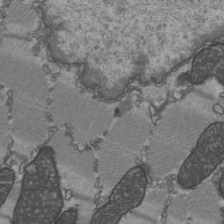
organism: C57BL Mouse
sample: Heart